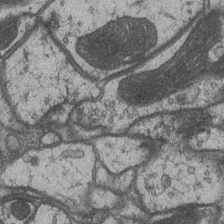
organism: Drosophila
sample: Optic medulla